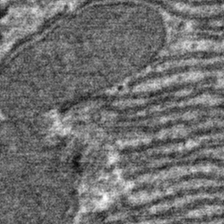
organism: Mouse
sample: Mouse hepatocytes